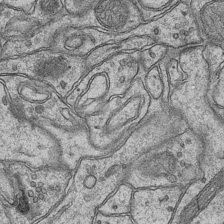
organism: Mouse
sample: CA1 Hippocampus